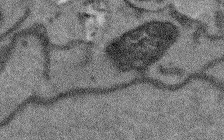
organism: Arabidopsis thaliana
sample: Root tip